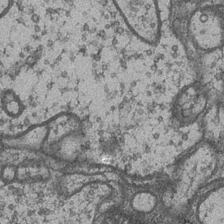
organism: Drosophila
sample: Optic medulla